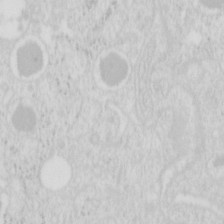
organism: Mouse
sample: Pancreas